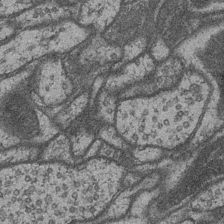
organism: Drosophila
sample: Optic medulla